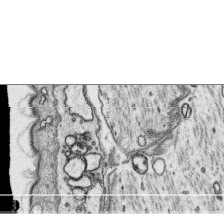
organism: Platynereis dumerilii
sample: Parapodia